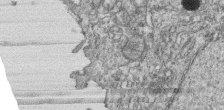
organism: Human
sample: HeLa cell HIV synapse